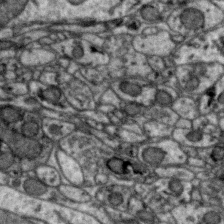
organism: Zebra finch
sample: Brain